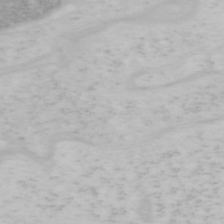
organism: Mouse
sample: OT-I killer T cells with ID8 ovarian cancer cells